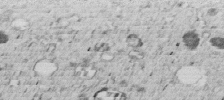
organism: C. elegans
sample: C. elegans embryo early stage